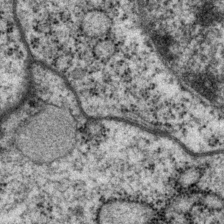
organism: P. pacificus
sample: Pharynx